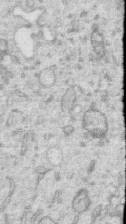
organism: Human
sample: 1205lu cells